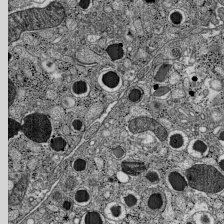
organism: C57BL Mouse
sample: Pancreatic islet